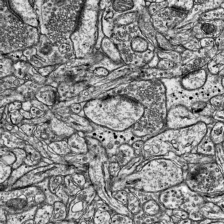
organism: Mouse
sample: Visual Cortex